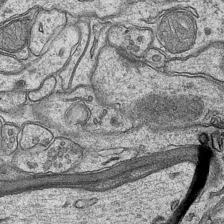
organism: Mouse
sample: CA1 Hippocampus